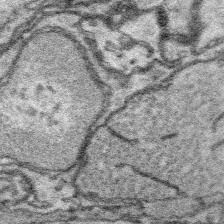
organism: Platynereis dumerilii